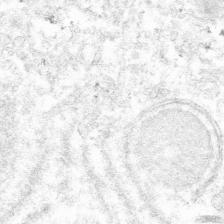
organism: Mouse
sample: Mouse hepatocytes